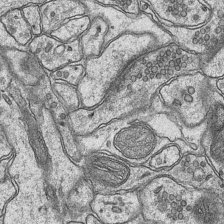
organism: Mouse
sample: CA1 Hippocampus